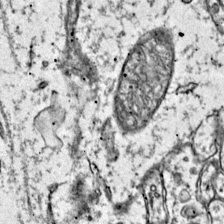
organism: Mouse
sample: Primary visual cortex